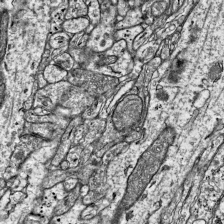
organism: Mouse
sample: Visual Cortex